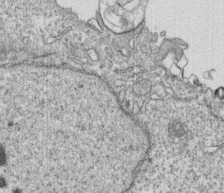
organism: Human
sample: HeLa cell HIV synapse